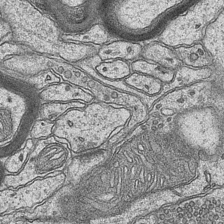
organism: Mouse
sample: CA1 Hippocampus